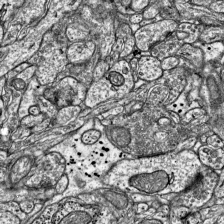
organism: Mouse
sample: Visual Cortex